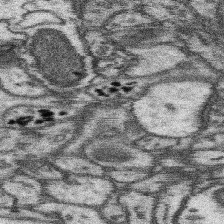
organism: Mouse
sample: Somatosensory cortex neuropil